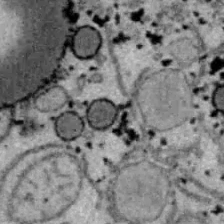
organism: Mouse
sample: Liver from an obese (ob/ob) mouse